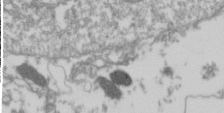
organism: Drosophila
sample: Cell division; meiosis; drosophila spermatocytes